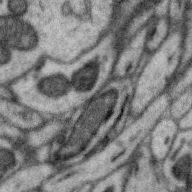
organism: Zebra finch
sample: Brain